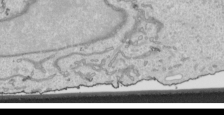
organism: Human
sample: Mitochondria in HCT116 cells